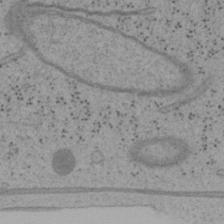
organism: Human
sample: HeLa cells